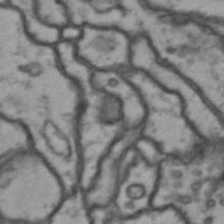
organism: Drosophila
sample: Brain